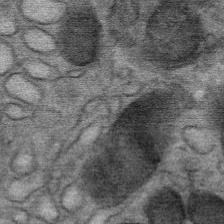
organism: Mouse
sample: Mouse Salivary gland